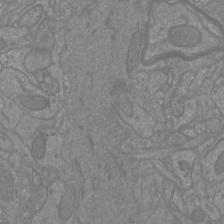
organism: Mouse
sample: Cortical neurons